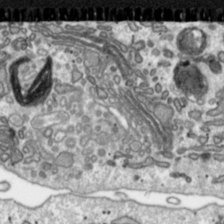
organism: Toxoplasma gondii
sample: Parasites in a vacuole inside a host cell